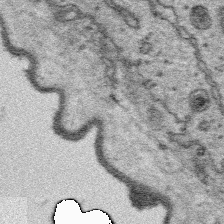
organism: Platynereis dumerilii